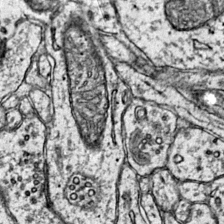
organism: Mouse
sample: Primary visual cortex